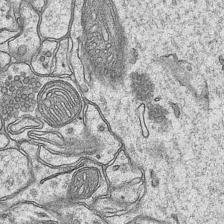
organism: Mouse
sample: CA1 Hippocampus